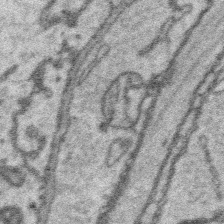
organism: Platynereis dumerilii